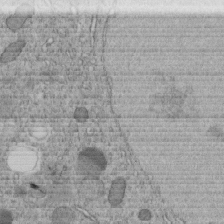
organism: C. elegans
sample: C. elegans embryo early stage